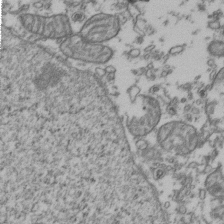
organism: Human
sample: Activated Jurkat CD4+ T cells